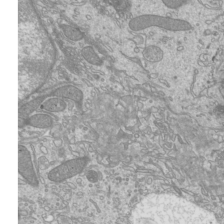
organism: Mouse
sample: Cilia; mouse epididymis